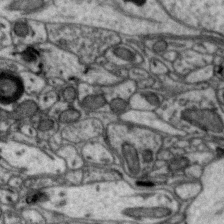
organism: Zebra finch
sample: Brain